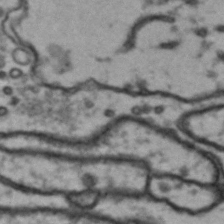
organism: Drosophila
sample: Brain